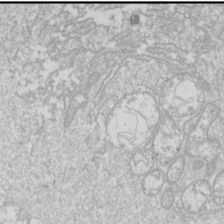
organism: Drosophila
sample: Cell division; meiosis; drosophila spermatocytes